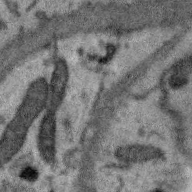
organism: Zebra finch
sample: Brain